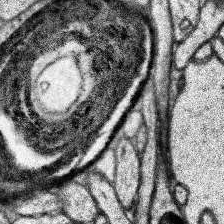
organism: Human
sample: Temporal Lobe